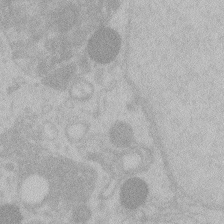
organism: Zebrafish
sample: Macrophage infected with Toxoplasma gondii